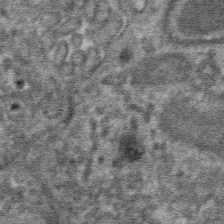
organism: Mouse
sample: Mouse hepatocytes